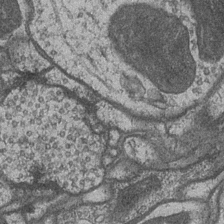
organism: Drosophila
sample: Optic medulla